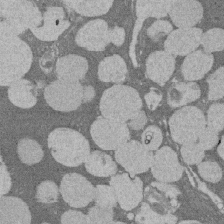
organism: Rat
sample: Salivary granule